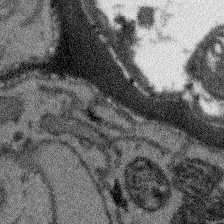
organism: Arabidopsis thaliana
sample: Root tip